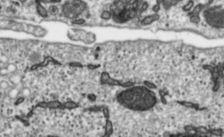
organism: Toxoplasma gondii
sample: Parasites in a vacuole inside a host cell